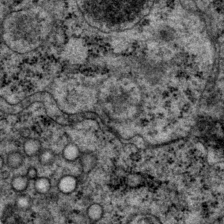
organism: P. pacificus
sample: Pharynx